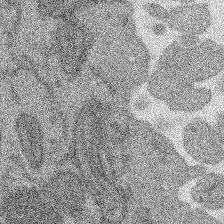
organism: Human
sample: HeLa cells